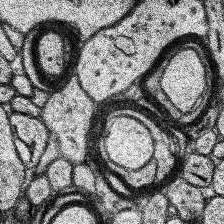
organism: Human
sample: Temporal Lobe